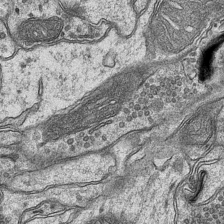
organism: Mouse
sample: CA1 Hippocampus